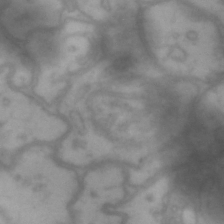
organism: Drosophila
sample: Brain